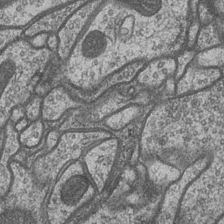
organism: Drosophila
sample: Optic medulla